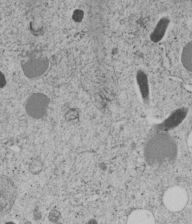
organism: C. elegans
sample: C. elegans embryo early stage